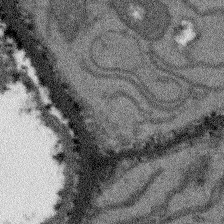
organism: Arabidopsis thaliana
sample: Root tip